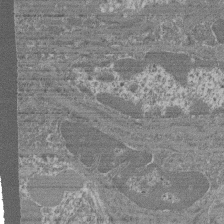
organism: Mouse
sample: Glomerulus